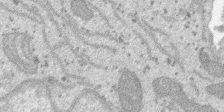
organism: Human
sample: Lung epithelial cells infected with SARS-CoV-2